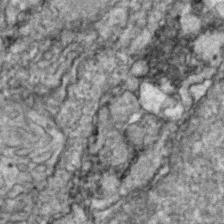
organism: Zebrafish